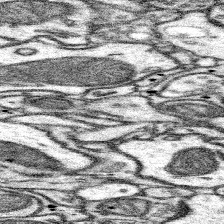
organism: Mouse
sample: Somatosensory cortex neuropil